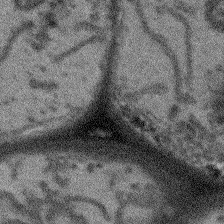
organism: Arabidopsis thaliana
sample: Root tip